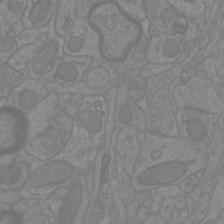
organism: Mouse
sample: Cortical neurons